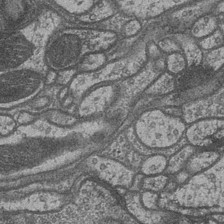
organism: Drosophila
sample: Optic medulla